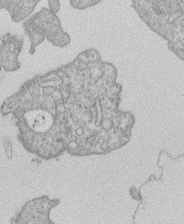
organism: Human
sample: Macrophage cells